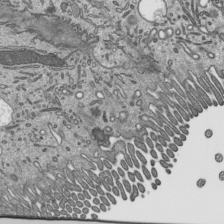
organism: Mouse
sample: Mouse epididymis efferent ductule cilia